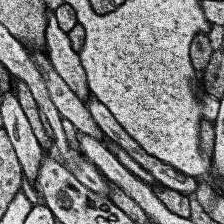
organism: Human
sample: Temporal Lobe